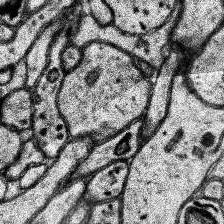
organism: Human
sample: Temporal Lobe